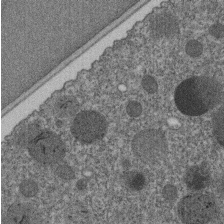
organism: C. elegans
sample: C. elegans embryo early stage